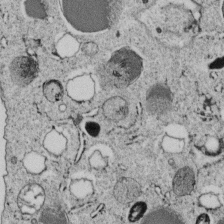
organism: C. elegans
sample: C. elegans embryo early stage